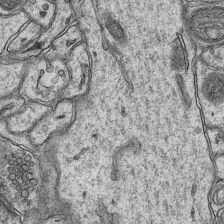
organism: Mouse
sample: CA1 Hippocampus